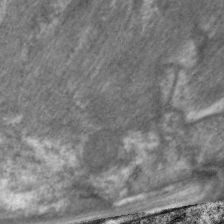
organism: C. elegans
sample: Pharynx